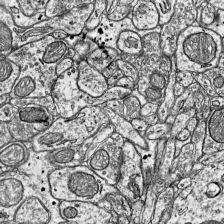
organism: Mouse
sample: Visual Cortex